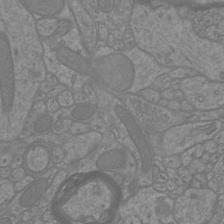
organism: Mouse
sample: Cortical neurons